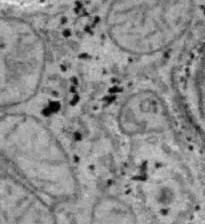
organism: Mouse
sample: Liver from an obese (ob/ob) mouse